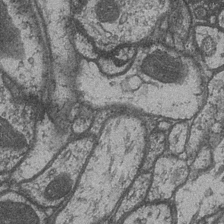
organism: Drosophila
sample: Optic medulla